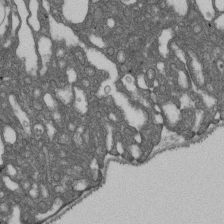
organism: Drosophila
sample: Nephrocyte